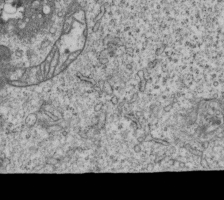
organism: Human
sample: MDA-MB-231 cells